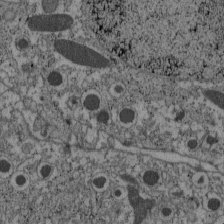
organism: C57BL Mouse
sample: Pancreatic islet